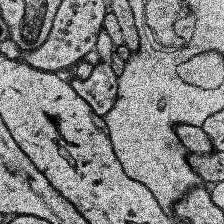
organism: Human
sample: Temporal Lobe